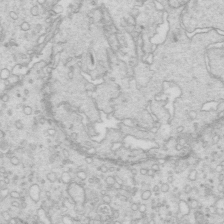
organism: Mouse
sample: Multiciliated cells